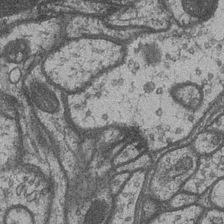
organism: Drosophila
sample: Optic medulla